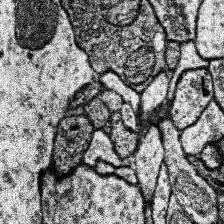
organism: Human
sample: Temporal Lobe